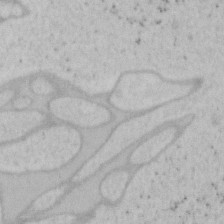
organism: Human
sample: HeLa cells